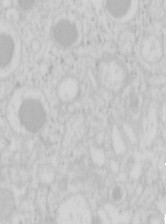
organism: Mouse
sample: Pancreas